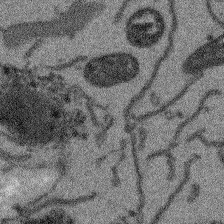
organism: Arabidopsis thaliana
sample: Root tip